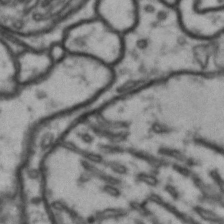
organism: Drosophila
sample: Brain